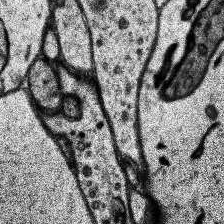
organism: Human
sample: Temporal Lobe